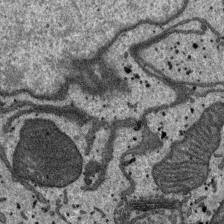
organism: Human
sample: Lung epithelial cells, uninfected (mock) control